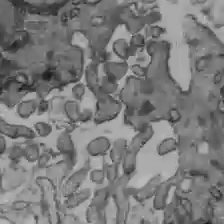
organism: C57BL Mouse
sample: Liver